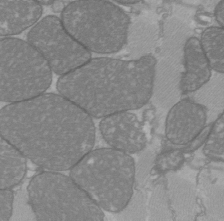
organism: C57BL Mouse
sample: Heart